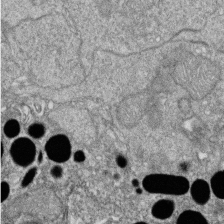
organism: Zebrafish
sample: Cilia; retinal pigment epithelium